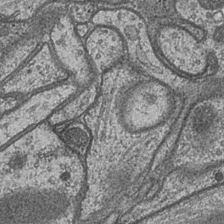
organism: Drosophila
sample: Optic medulla